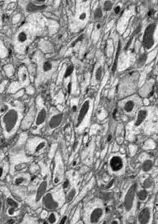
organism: Drosophila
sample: Optic lobe